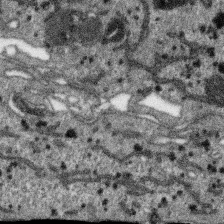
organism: Human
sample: Lung epithelial cells infected with SARS-CoV-2